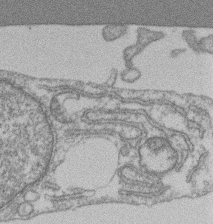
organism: Mouse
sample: T cell stromal cell synapse